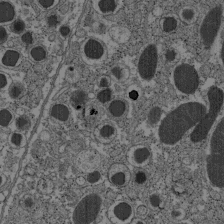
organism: C57BL Mouse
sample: Pancreatic islet